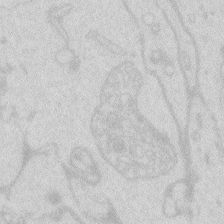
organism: Zebrafish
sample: Macrophage